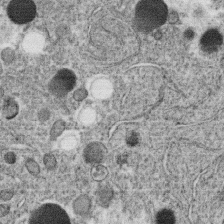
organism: C. elegans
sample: C. elegans oocyte; sperm cells